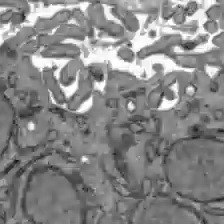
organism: C57BL Mouse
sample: Liver